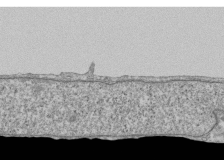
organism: Human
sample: Fibroblast cells